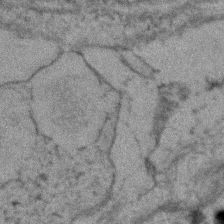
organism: Zebrafish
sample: Zebrafish embryo